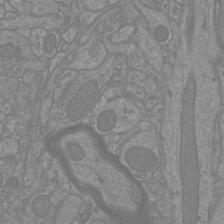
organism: Mouse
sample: Cortical neurons